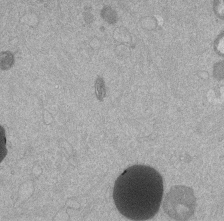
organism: Mouse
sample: Dividing mouse embryo 1 cell stage